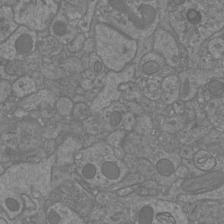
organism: Mouse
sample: Cortical neurons